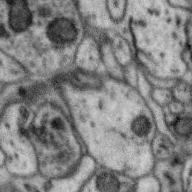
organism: Zebra finch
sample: Brain